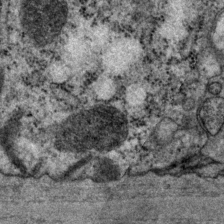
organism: P. pacificus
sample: Pharynx